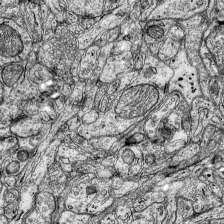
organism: Mouse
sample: Visual Cortex